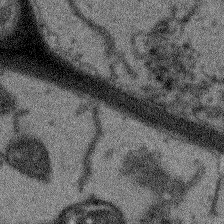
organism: Arabidopsis thaliana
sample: Root tip